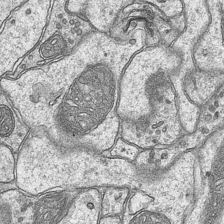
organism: Mouse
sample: CA1 Hippocampus